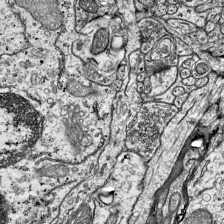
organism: Mouse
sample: Visual Cortex